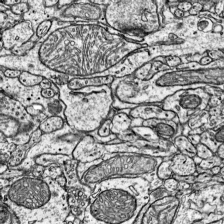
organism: Mouse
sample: Visual Cortex